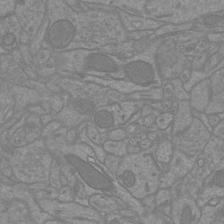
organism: Mouse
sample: Cortical neurons